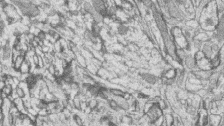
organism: Zebrafish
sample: synaptic ribbons in rod cells and cone cells